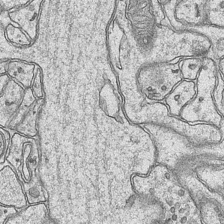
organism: Mouse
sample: CA1 Hippocampus